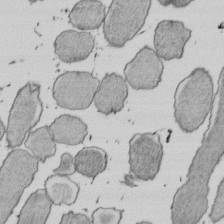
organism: E. coli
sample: Bacterial nucleoid